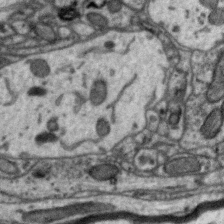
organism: Zebra finch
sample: Brain